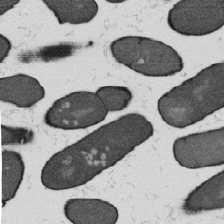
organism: B. subtilis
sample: Bacterial spore